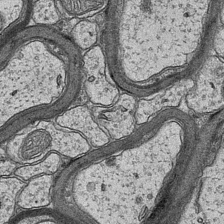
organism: Mouse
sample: CA1 Hippocampus